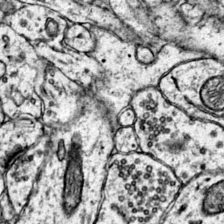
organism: Mouse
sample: Primary visual cortex